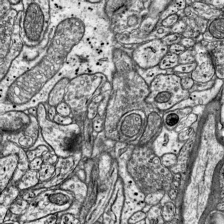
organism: Mouse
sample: Visual Cortex